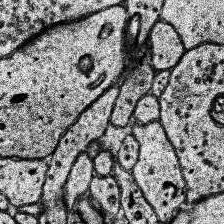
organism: Human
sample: Temporal Lobe